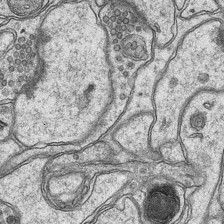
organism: Mouse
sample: CA1 Hippocampus